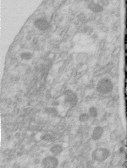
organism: Human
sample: Centriole in RPE cells